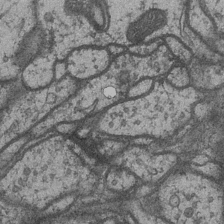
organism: Drosophila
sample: Optic medulla